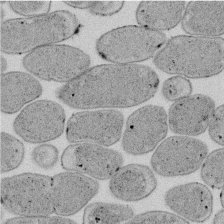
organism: E. coli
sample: Bacterial nucleoid